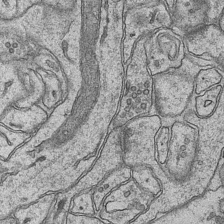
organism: Mouse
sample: CA1 Hippocampus